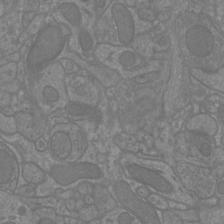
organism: Mouse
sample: Cortical neurons